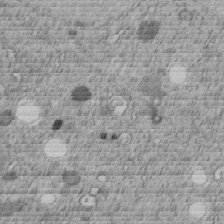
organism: C. elegans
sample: C. elegans embryo early stage